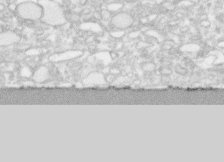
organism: Human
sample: CRL-1474